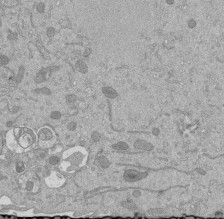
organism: Mouse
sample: ED-1 cell nuclei; centrioles